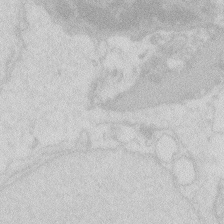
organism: Zebrafish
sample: Macrophage